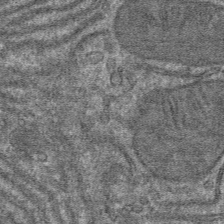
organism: Mouse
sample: Mouse hepatocytes